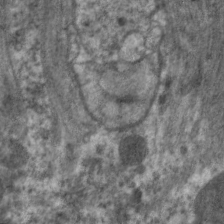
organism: C. elegans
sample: Pharynx